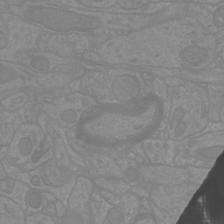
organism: Mouse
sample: Cortical neurons